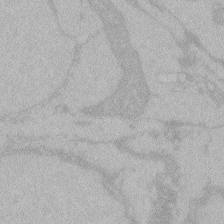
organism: Zebrafish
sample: Macrophage infected with Toxoplasma gondii